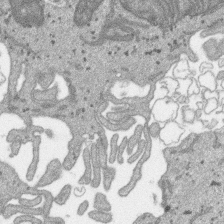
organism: Human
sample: Lung epithelial cells infected with SARS-CoV-2